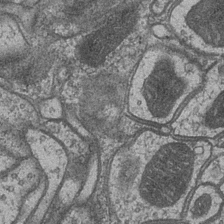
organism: Drosophila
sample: Optic medulla